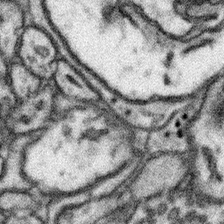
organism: Mouse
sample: Somatosensory cortex neuropil